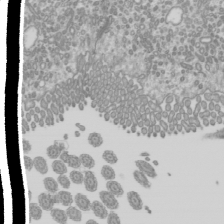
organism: Mouse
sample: Cilia; mouse epididymis